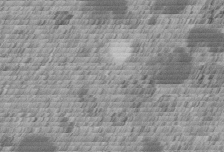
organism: C. elegans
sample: C. elegans embryo early stage